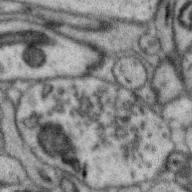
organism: Zebra finch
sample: Brain